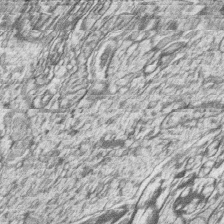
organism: Zebrafish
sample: synaptic ribbons in rod cells and cone cells